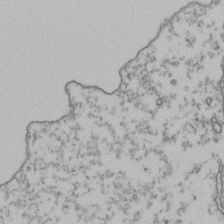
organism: Human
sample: Activated Jurkat CD4+ T cells